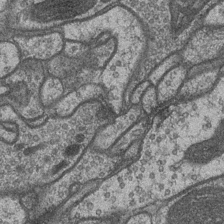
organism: Drosophila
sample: Optic medulla